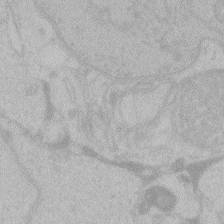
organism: Zebrafish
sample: Macrophage infected with Toxoplasma gondii